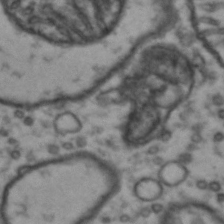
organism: Drosophila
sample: Brain